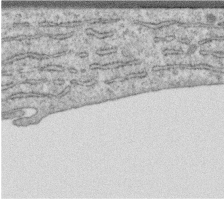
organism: Human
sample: Centriole in RPE cells